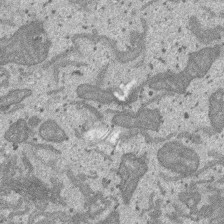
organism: Human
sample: Lung epithelial cells infected with SARS-CoV-2